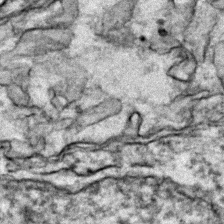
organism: Zebrafish